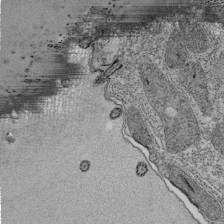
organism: Tetrahymena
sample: Cilia in tetrahymena